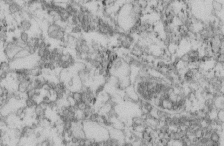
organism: Mouse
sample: Cilia; retinal pigment epithelium